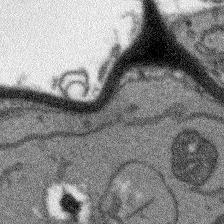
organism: Arabidopsis thaliana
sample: Root tip